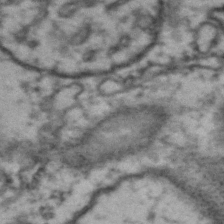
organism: Drosophila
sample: Brain